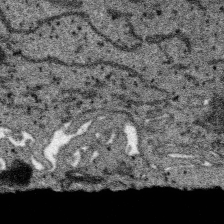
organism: Human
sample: Lung epithelial cells, uninfected (mock) control